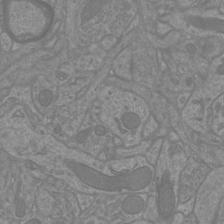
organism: Mouse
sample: Cortical neurons